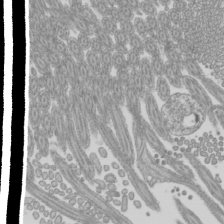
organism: Mouse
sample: Cilia; mouse epididymis